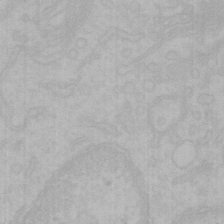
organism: Mouse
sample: Choroid plexus